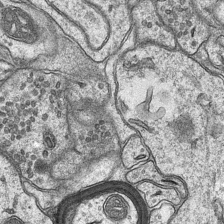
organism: Mouse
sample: CA1 Hippocampus